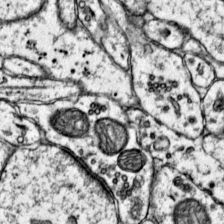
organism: Mouse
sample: Primary visual cortex